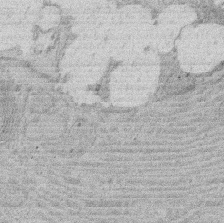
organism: Rat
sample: Salivary granule